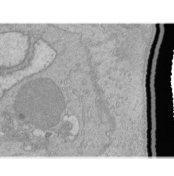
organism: Human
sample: Retinal organoid Rod and Cone cells